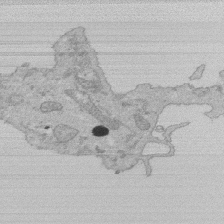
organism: Human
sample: Activated Jurkat CD4+ T cells